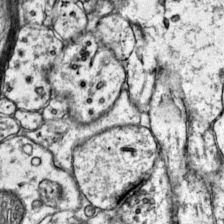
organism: Mouse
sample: Primary visual cortex